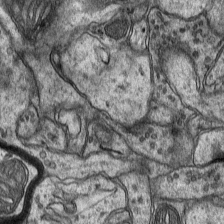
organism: Mouse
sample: CA1 Hippocampus